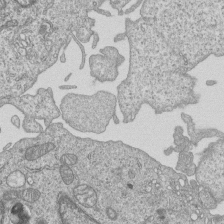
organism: Human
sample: MDA-MB-231 cells